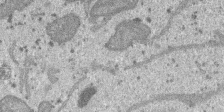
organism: Human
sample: Lung epithelial cells infected with SARS-CoV-2